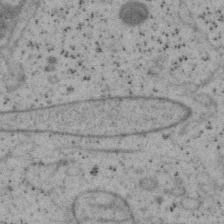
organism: Human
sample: HeLa cells